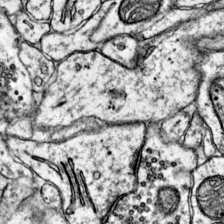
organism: Mouse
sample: Primary visual cortex